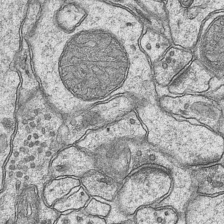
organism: Mouse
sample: CA1 Hippocampus